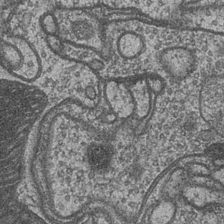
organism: Drosophila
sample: Optic medulla